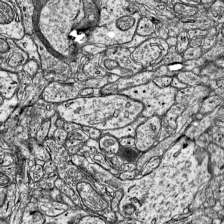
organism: Mouse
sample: Visual Cortex